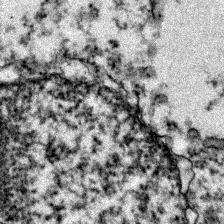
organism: Zebrafish